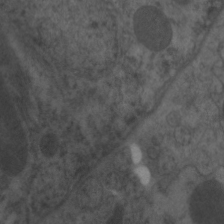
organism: C. elegans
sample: Pharynx